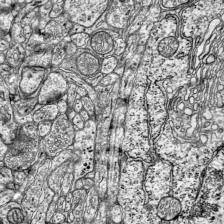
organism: Mouse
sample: Visual Cortex